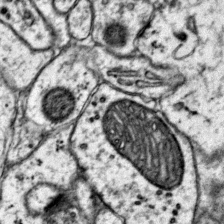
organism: Mouse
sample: Primary visual cortex